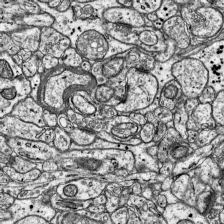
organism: Mouse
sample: Visual Cortex